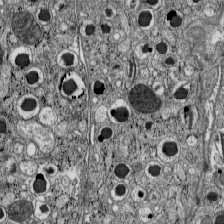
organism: C57BL Mouse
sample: Pancreatic islet